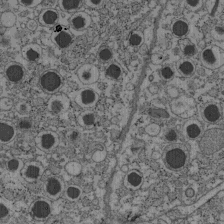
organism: C57BL Mouse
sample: Pancreatic islet